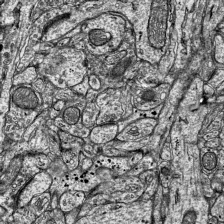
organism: Mouse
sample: Visual Cortex